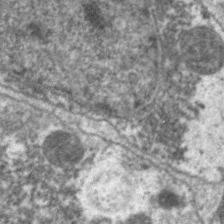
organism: C. elegans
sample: Pharynx